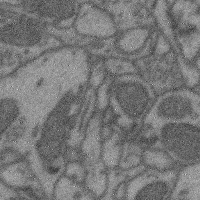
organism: Mouse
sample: Cerebral cortex